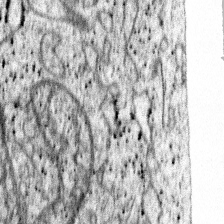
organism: Human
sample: HeLa cells